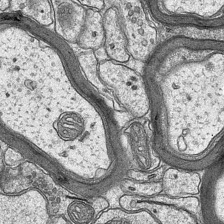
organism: Mouse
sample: CA1 Hippocampus